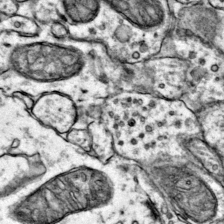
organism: Mouse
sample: Primary visual cortex